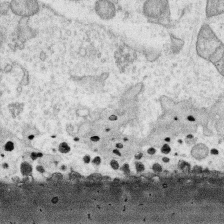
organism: Human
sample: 1205lu cells